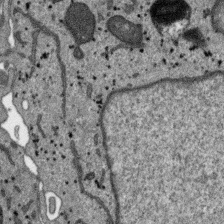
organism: Human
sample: Lung epithelial cells, uninfected (mock) control